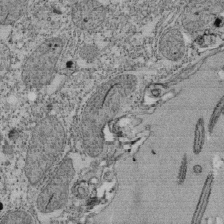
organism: Tetrahymena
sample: Cilia in tetrahymena